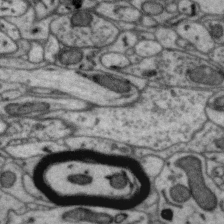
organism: Zebra finch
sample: Brain